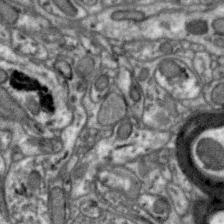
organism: Zebra finch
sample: Brain